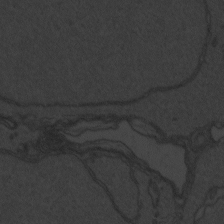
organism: Zebrafish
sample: Macrophage infected with Toxoplasma gondii